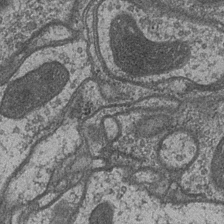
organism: Drosophila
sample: Optic medulla